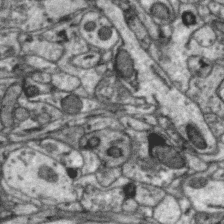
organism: Zebra finch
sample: Brain